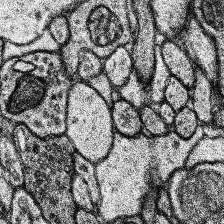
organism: Human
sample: Temporal Lobe